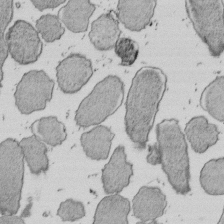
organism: E. coli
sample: Bacterial nucleoid